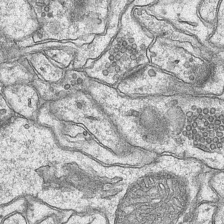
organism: Mouse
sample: CA1 Hippocampus